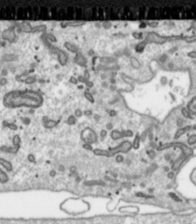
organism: Toxoplasma gondii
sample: Parasites in a vacuole inside a host cell